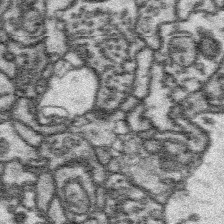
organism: Platynereis dumerilii